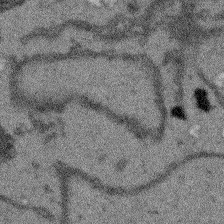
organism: Arabidopsis thaliana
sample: Root tip